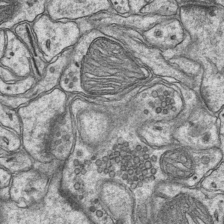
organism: Mouse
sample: CA1 Hippocampus